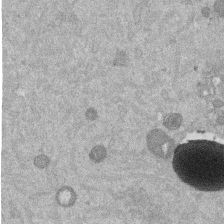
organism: Mouse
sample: Dividing mouse embryo 1 cell stage